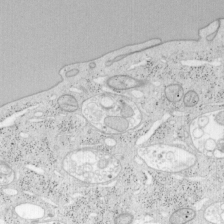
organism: Mouse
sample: OT-I killer T cells with ID8 ovarian cancer cells